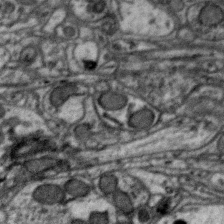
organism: Zebra finch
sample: Brain